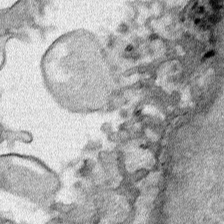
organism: Human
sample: Mitochondria in HCT116 cells